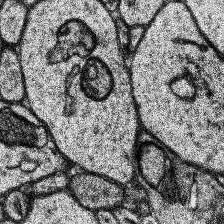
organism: Human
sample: Temporal Lobe